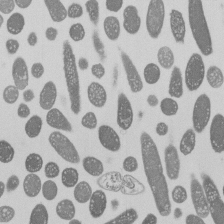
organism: E. coli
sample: Bacterial nucleoid